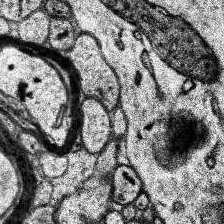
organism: Human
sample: Temporal Lobe